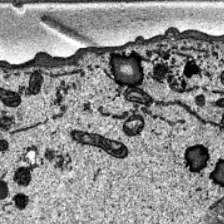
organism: Human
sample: HeLa cells